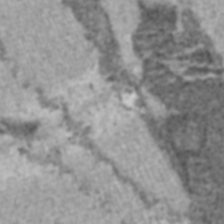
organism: C57BL Mouse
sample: Heart